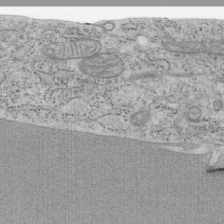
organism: Human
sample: HeLa cells